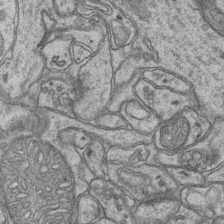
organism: Mouse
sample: CA1 Hippocampus